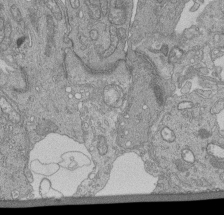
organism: Human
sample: Retinal organoid Rod and Cone cells